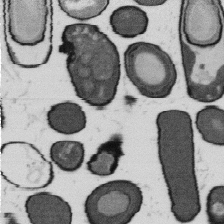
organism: B. subtilis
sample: Bacterial spore